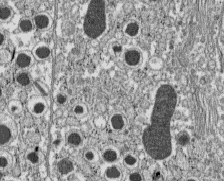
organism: C57BL Mouse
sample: Pancreatic islet